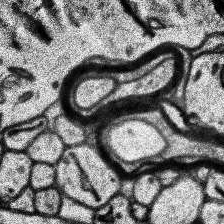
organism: Human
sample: Temporal Lobe